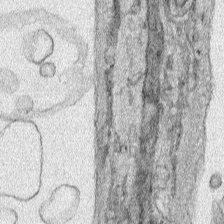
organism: Human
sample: Mitochondria in HCT116 cells